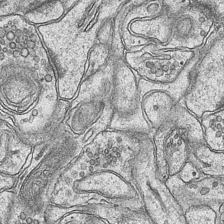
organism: Mouse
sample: CA1 Hippocampus